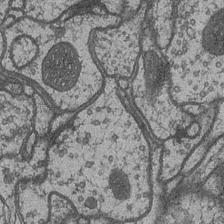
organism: Drosophila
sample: Optic medulla